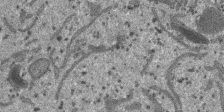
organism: Human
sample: Lung epithelial cells infected with SARS-CoV-2